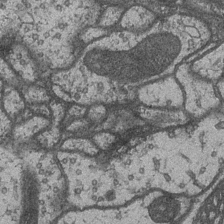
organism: Drosophila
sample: Optic medulla